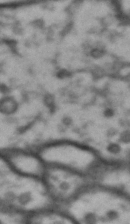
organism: Drosophila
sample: Brain